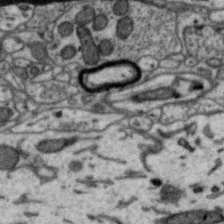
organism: Zebra finch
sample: Brain